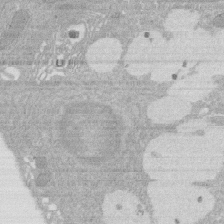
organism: Rat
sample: Salivary granule